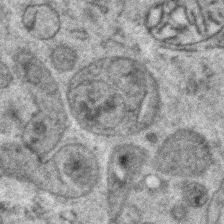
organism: Zebrafish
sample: Zebrafish embryo